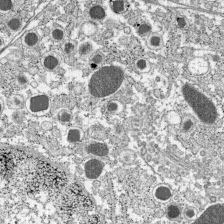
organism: C57BL Mouse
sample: Pancreatic islet